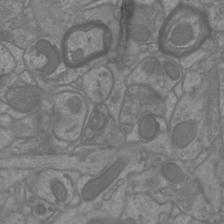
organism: Mouse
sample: Cortical neurons